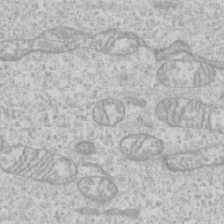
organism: Human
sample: CRL-1474